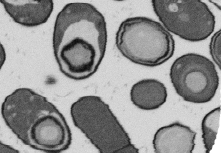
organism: B. subtilis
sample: Bacterial spore